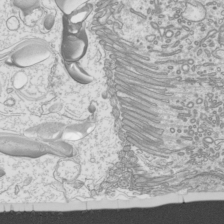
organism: Mouse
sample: Cilia; mouse epididymis